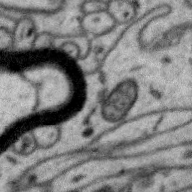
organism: Zebra finch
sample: Brain